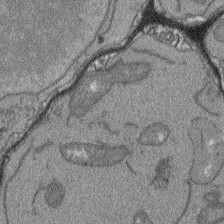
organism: Arabidopsis thaliana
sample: Root tip